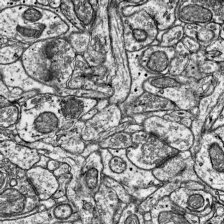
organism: Mouse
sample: Visual Cortex